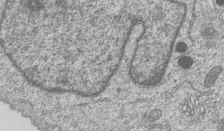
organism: Human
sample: MDA-MB-231 cells